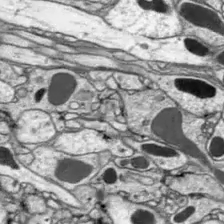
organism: Drosophila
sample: Optic lobe